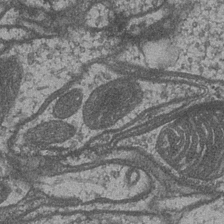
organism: Drosophila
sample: Optic medulla